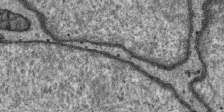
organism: Human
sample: Lung epithelial cells, uninfected (mock) control